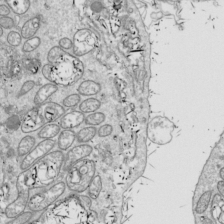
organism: Drosophila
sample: Cell division; meiosis; drosophila spermatocytes